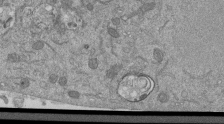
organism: Mouse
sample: ED-1 cell nuclei; centrioles